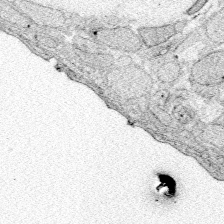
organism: Zebrafish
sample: Whole-Brain